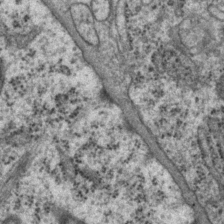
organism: P. pacificus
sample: Pharynx